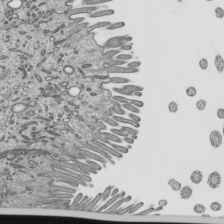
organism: Mouse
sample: Mouse epididymis efferent ductule cilia